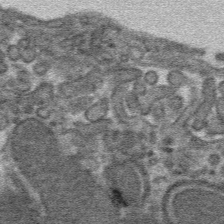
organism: Mouse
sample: Mouse hepatocytes